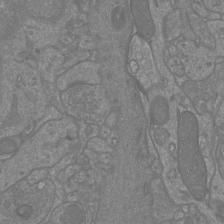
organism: Mouse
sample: Cortical neurons